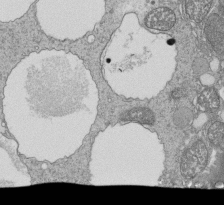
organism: Tetrahymena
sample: Cilia in tetrahymena